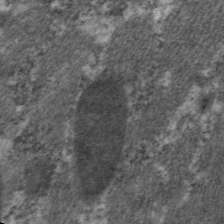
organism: C. elegans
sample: Pharynx